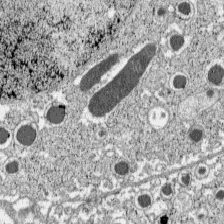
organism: C57BL Mouse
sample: Pancreatic islet